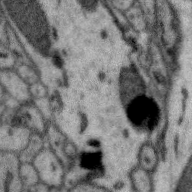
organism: Zebra finch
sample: Brain